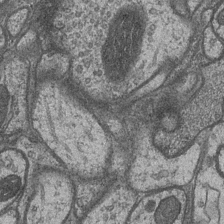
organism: Drosophila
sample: Optic medulla